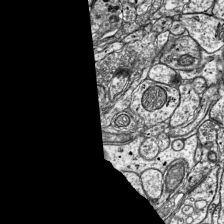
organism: Mouse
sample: Visual Cortex